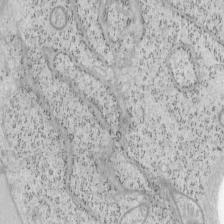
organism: Mouse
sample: OT-I killer T cells with ID8 ovarian cancer cells